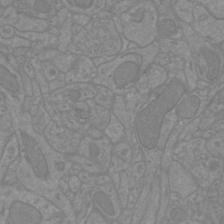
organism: Mouse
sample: Cortical neurons